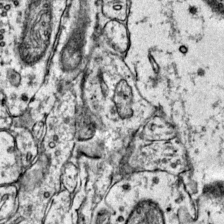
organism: Mouse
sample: Primary visual cortex